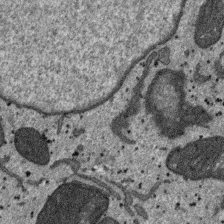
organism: Human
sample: Lung epithelial cells, uninfected (mock) control